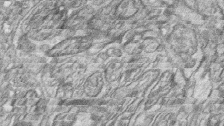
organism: Zebrafish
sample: synaptic ribbons in rod cells and cone cells